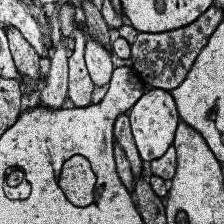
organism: Human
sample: Temporal Lobe